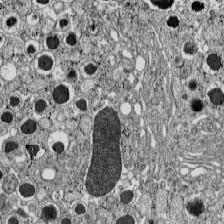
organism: C57BL Mouse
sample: Pancreatic islet